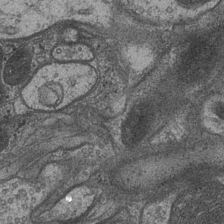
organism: Drosophila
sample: Optic medulla